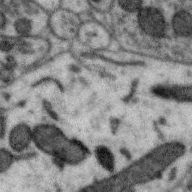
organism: Zebra finch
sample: Brain